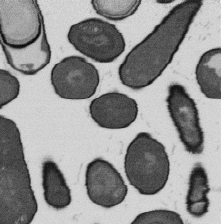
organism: B. subtilis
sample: Bacterial spore